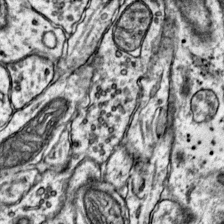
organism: Mouse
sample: Primary visual cortex